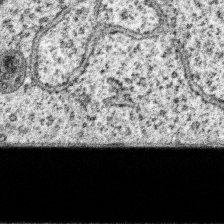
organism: Human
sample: HeLa cells